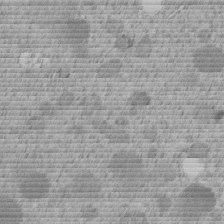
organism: C. elegans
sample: C. elegans embryo early stage